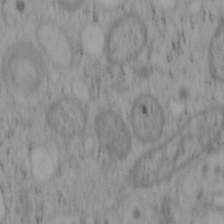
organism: Mouse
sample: OT-I killer T cells with ID8 ovarian cancer cells